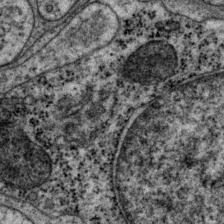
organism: P. pacificus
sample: Pharynx